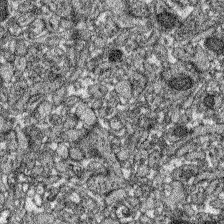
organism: Zebrafish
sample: Larval olfactory bulb